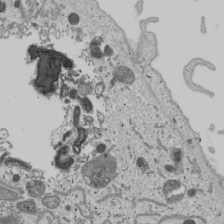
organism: Human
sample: Mitochondria in U2OS cells